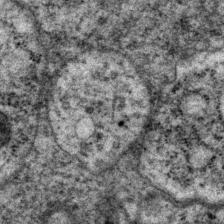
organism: P. pacificus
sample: Pharynx